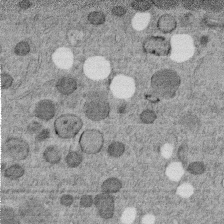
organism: C. elegans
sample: C. elegans embryo early stage